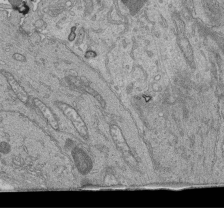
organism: Human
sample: Retinal organoid Rod and Cone cells